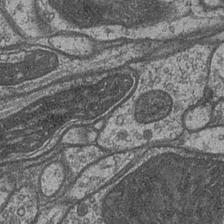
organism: Drosophila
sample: Optic medulla